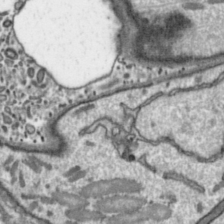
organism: Toxoplasma gondii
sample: Parasites in a vacuole inside a host cell